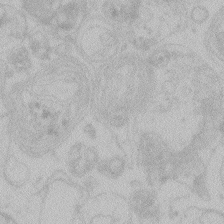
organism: Zebrafish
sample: Macrophage infected with Toxoplasma gondii